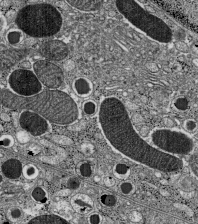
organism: C57BL Mouse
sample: Pancreatic islet